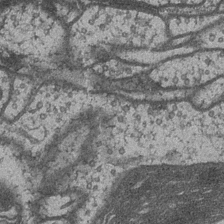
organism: Drosophila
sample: Optic medulla